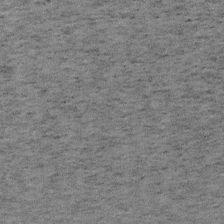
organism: Mouse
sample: OT-I killer T cells with ID8 ovarian cancer cells